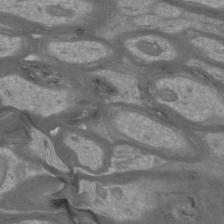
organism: Mouse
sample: Cortical neurons